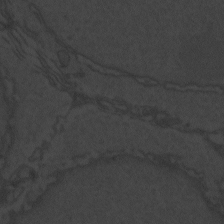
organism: Zebrafish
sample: Macrophage infected with Toxoplasma gondii